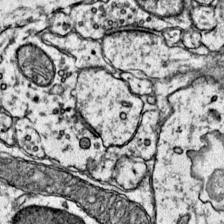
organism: Mouse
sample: Primary visual cortex